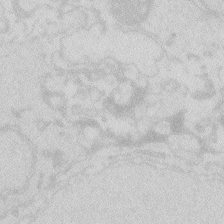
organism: Zebrafish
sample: Macrophage